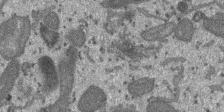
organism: Human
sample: Lung epithelial cells infected with SARS-CoV-2